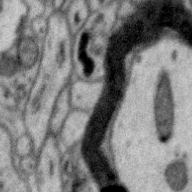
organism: Zebra finch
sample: Brain